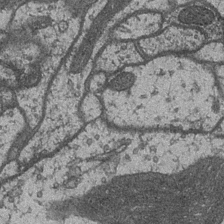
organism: Drosophila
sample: Optic medulla